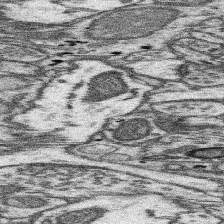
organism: Mouse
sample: Somatosensory cortex neuropil